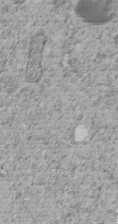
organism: C. elegans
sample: C. elegans embryo early stage